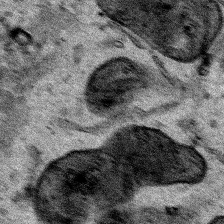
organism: Human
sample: Mitochondria in HCT116 cells